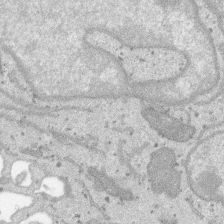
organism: Human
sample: Lung epithelial cells infected with SARS-CoV-2